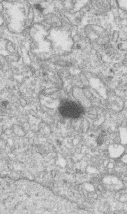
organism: Human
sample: HeLa cell HIV synapse